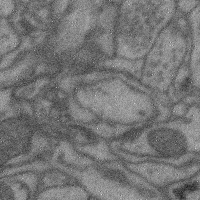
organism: Mouse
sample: Cerebral cortex